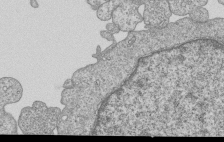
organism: Human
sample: MDA-MB-231 cells